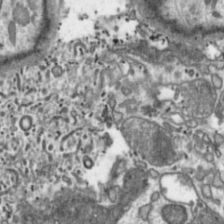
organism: Toxoplasma gondii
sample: Parasites in a vacuole inside a host cell